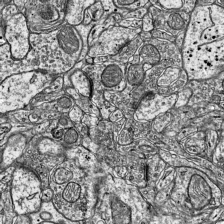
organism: Mouse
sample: Visual Cortex